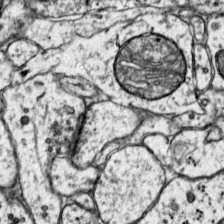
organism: Mouse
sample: Primary visual cortex